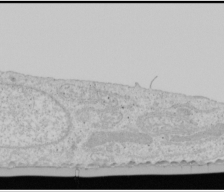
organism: Human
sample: Mitochondria in U2OS cells